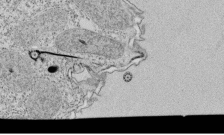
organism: Tetrahymena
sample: Cilia in tetrahymena